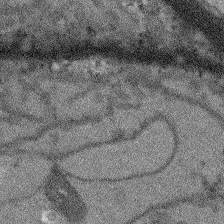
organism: Arabidopsis thaliana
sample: Root tip